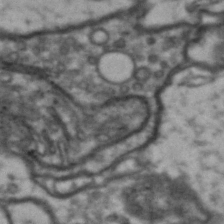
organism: Drosophila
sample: Brain